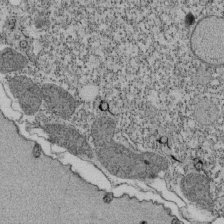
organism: Tetrahymena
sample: Cilia in tetrahymena